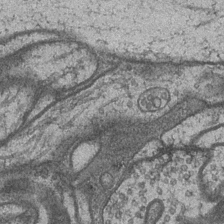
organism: Drosophila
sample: Optic medulla